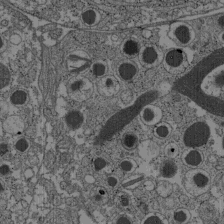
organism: C57BL Mouse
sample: Pancreatic islet